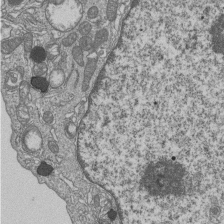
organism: Human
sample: MDA-MB-231 cells